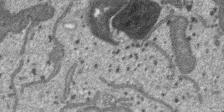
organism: Human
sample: Lung epithelial cells infected with SARS-CoV-2